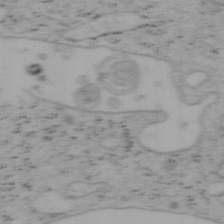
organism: Mouse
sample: OT-I killer T cells with ID8 ovarian cancer cells